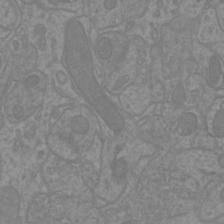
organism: Mouse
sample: Cortical neurons